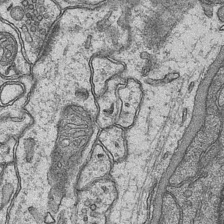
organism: Mouse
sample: CA1 Hippocampus